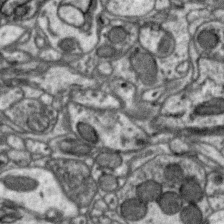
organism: Zebra finch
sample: Brain